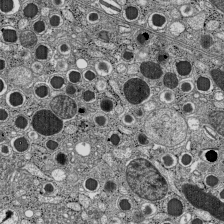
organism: C57BL Mouse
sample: Pancreatic islet